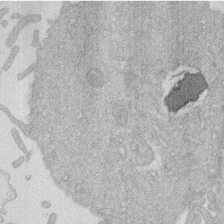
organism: Human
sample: Macrophage cells